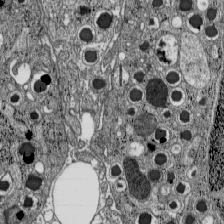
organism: C57BL Mouse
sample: Pancreatic islet